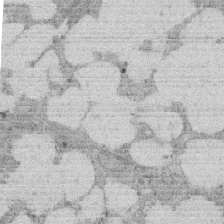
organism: Rat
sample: Salivary granule